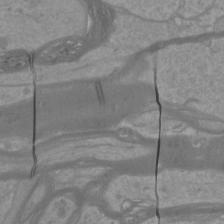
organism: Mouse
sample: Cortical neurons